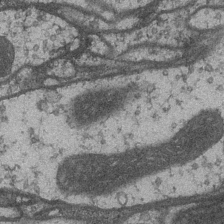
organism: Drosophila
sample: Optic medulla